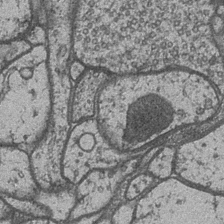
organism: Drosophila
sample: Optic medulla